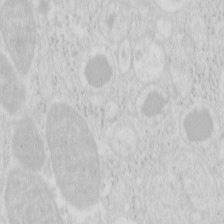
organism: Mouse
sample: Pancreas